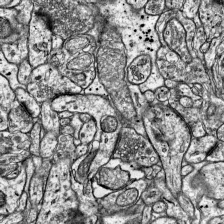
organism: Mouse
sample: Visual Cortex